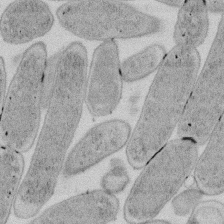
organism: E. coli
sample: Bacterial nucleoid